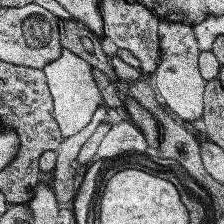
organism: Human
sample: Temporal Lobe